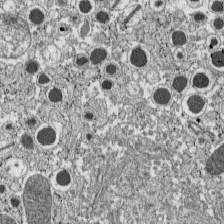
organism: C57BL Mouse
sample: Pancreatic islet